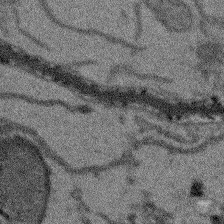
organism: Arabidopsis thaliana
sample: Root tip